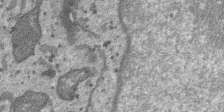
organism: Human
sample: Lung epithelial cells infected with SARS-CoV-2